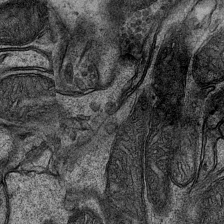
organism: Mouse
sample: CA1 Hippocampus